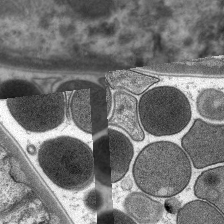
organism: C. elegans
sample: Pharynx